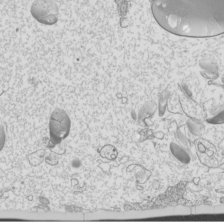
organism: Mouse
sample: Cilia; mouse epididymis